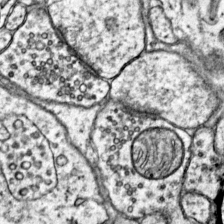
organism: Mouse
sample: Primary visual cortex